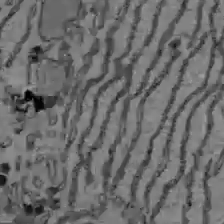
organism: C57BL Mouse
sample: Liver